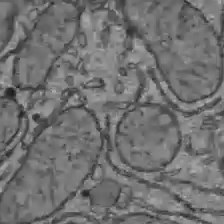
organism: C57BL Mouse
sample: Liver